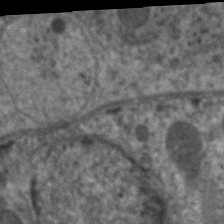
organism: C. elegans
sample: Pharynx